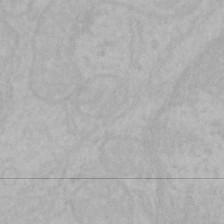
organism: Mouse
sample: Choroid plexus